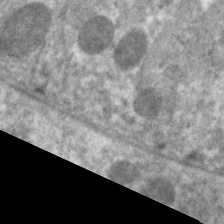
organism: C. elegans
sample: Pharynx